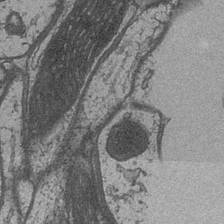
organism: Drosophila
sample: Optic medulla